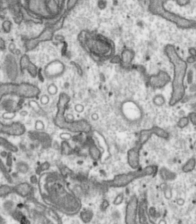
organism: Toxoplasma gondii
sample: Parasites in a vacuole inside a host cell